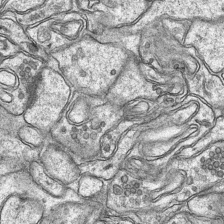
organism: Mouse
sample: CA1 Hippocampus